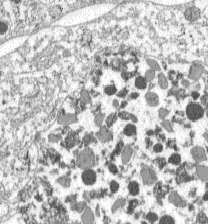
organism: C57BL Mouse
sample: Pancreatic islet